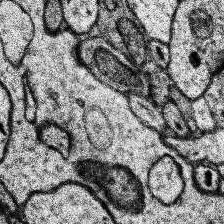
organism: Human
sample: Temporal Lobe